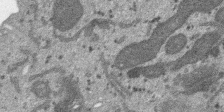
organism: Human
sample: Lung epithelial cells infected with SARS-CoV-2